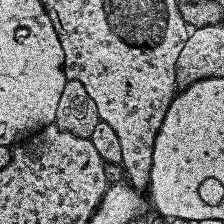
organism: Human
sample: Temporal Lobe